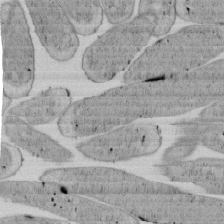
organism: E. coli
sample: Bacterial nucleoid